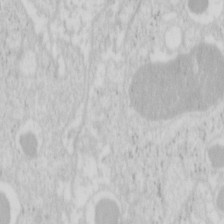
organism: Mouse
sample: Pancreas